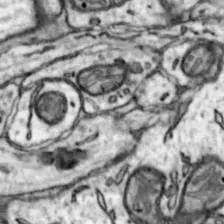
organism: Mouse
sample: Nucleus accumbens